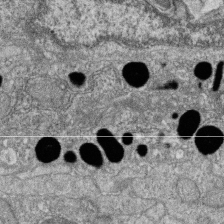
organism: Zebrafish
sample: Cilia; retinal pigment epithelium